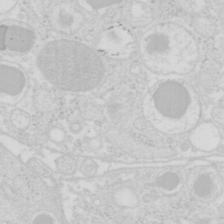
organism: Mouse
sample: Pancreas